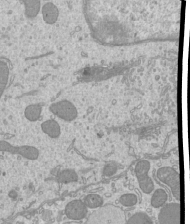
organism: Mouse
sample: Cilia; mouse epididymis